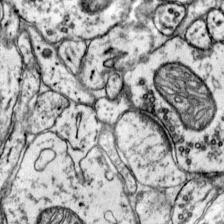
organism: Mouse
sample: Primary visual cortex